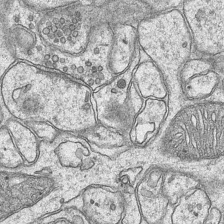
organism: Mouse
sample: CA1 Hippocampus